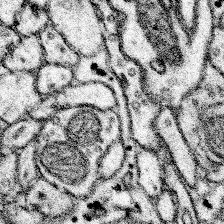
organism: Mouse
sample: Somatosensory cortex neuropil